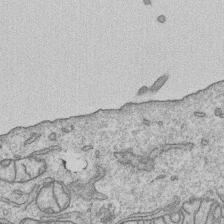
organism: Human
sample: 1205lu cells